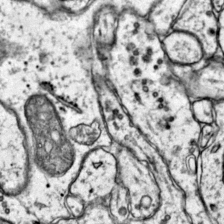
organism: Mouse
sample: Primary visual cortex